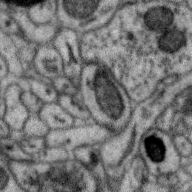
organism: Zebra finch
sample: Brain